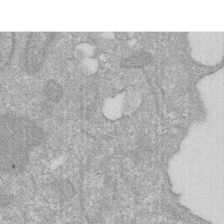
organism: Human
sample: HIV infected U937 cells